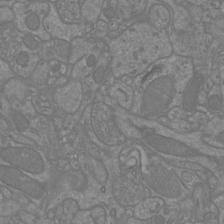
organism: Mouse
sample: Cortical neurons